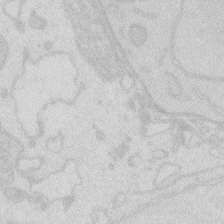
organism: Zebrafish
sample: Macrophage